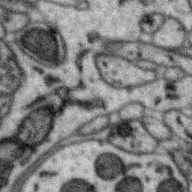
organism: Zebra finch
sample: Brain